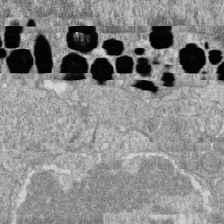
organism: Zebrafish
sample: Cilia; retinal pigment epithelium